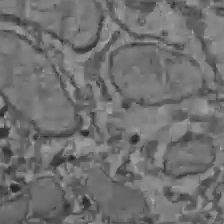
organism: C57BL Mouse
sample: Liver